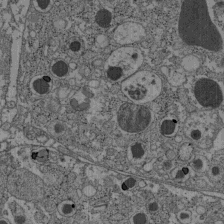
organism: C57BL Mouse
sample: Pancreatic islet